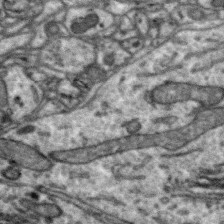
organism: Zebra finch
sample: Brain